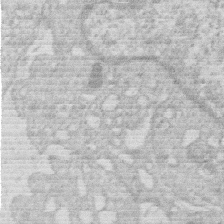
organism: Human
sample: Macrophage cells